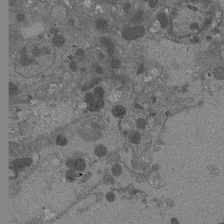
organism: Drosophila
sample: Antenna